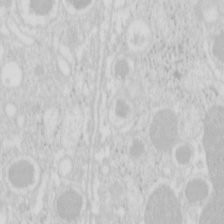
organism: Mouse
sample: Pancreas